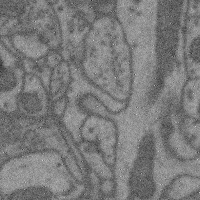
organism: Mouse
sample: Cerebral cortex